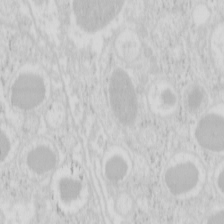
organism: Mouse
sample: Pancreas